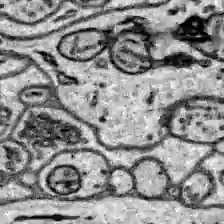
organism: Zebrafish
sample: Brain